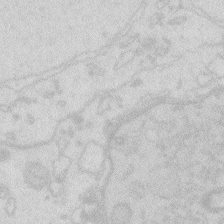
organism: Zebrafish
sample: Macrophage